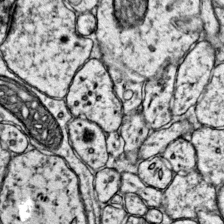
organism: Mouse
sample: Primary visual cortex